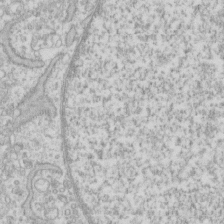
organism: Human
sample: Fibroblast cells